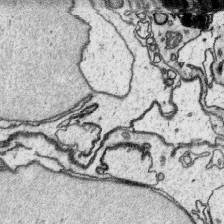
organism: Platynereis dumerilii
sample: Parapodia